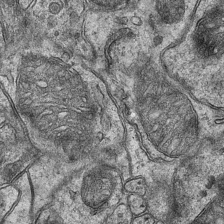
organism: Mouse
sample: CA1 Hippocampus